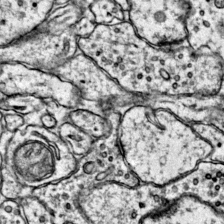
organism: Mouse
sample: Primary visual cortex